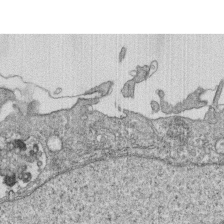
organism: Human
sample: HeLa cell HIV synapse